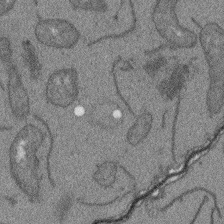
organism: Arabidopsis thaliana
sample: Root tip